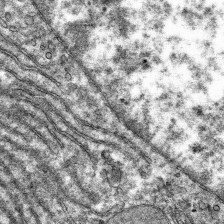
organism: Mouse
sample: Mouse hepatocytes